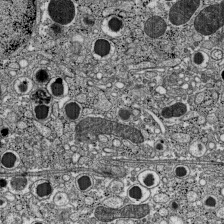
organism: C57BL Mouse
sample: Pancreatic islet